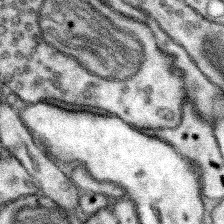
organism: Mouse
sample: Somatosensory cortex neuropil